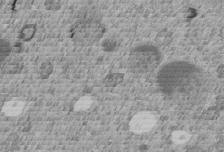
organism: C. elegans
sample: C. elegans embryo early stage